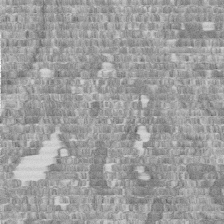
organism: Human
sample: Centriole in fibroblast cells